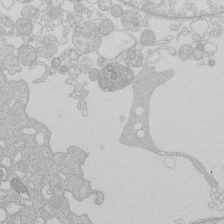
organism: Human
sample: Macrophage cells